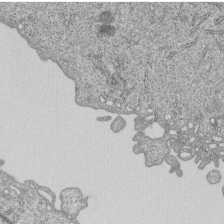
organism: Human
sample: MDA-MB-231 cells